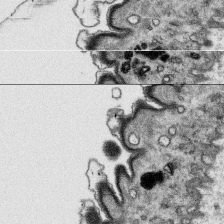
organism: Platynereis dumerilii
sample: Parapodia